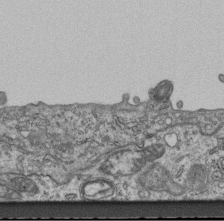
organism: Mouse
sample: Centriole in ependymal cells